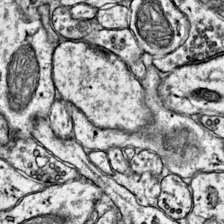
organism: Mouse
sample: Primary visual cortex